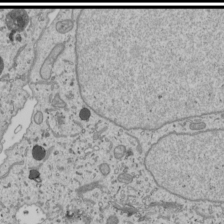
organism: Human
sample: Mitochondria in U2OS cells